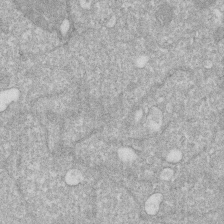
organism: Human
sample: HIV infected U937 cells